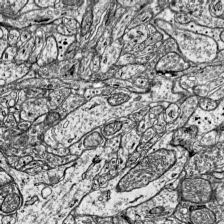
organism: Mouse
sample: Visual Cortex